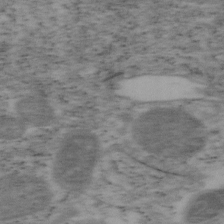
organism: Mouse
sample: OT-I killer T cells with ID8 ovarian cancer cells